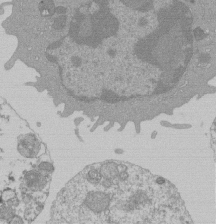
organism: Mouse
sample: Activated Pmel transgenic CD8+ T Cells